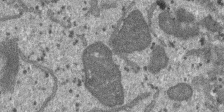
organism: Human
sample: Lung epithelial cells infected with SARS-CoV-2